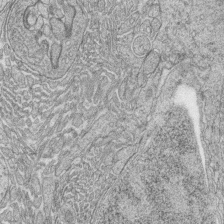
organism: Zebrafish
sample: synaptic ribbons in rod cells and cone cells